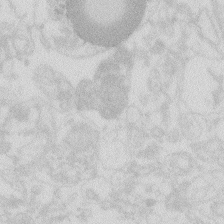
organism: Zebrafish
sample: Macrophage